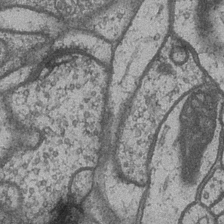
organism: Drosophila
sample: Optic medulla